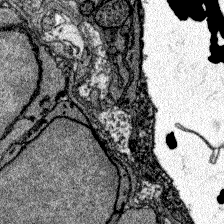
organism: Zebrafish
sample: Larval olfactory bulb